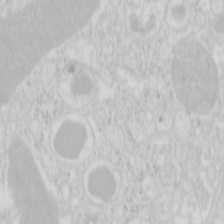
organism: Mouse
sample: Pancreas